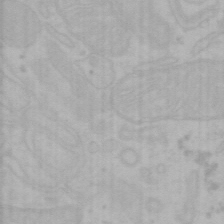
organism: Mouse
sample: Choroid plexus